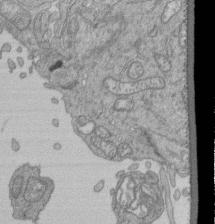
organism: Human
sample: Retinal organoid Rod and Cone cells